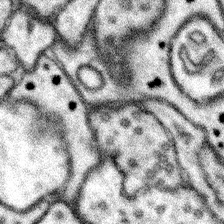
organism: Mouse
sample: Somatosensory cortex neuropil